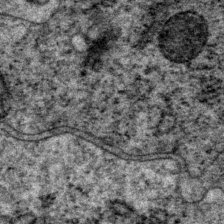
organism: P. pacificus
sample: Pharynx